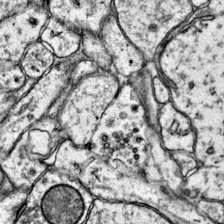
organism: Mouse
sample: Primary visual cortex